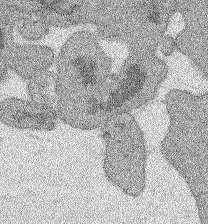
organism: Human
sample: HeLa cells